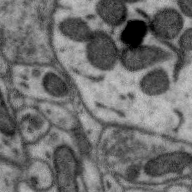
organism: Zebra finch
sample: Brain